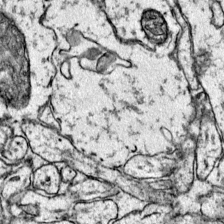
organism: Mouse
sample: Primary visual cortex